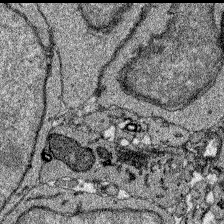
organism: Zebrafish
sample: Larval olfactory bulb